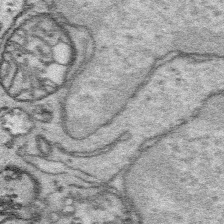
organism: Platynereis dumerilii